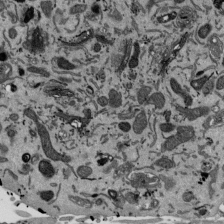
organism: Mouse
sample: ED-1 cell nuclei; centrioles